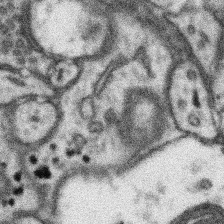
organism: Mouse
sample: Somatosensory cortex neuropil